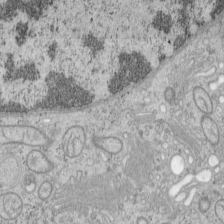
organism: Mouse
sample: OT-I killer T cells with ID8 ovarian cancer cells